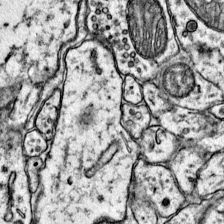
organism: Mouse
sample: Primary visual cortex